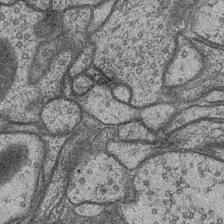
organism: Drosophila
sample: Optic medulla